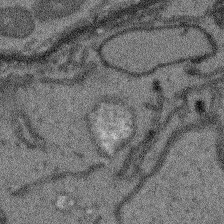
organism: Arabidopsis thaliana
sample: Root tip